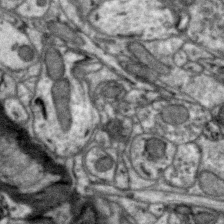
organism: Zebra finch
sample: Brain